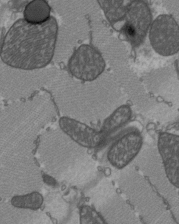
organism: C57BL Mouse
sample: Heart